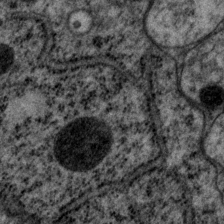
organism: P. pacificus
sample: Pharynx